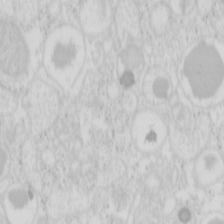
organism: Mouse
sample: Pancreas